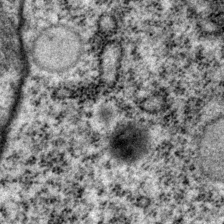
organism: P. pacificus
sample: Pharynx